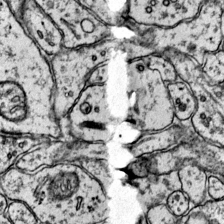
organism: Mouse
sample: Primary visual cortex